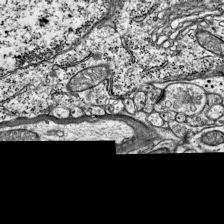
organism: Mouse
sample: Visual Cortex